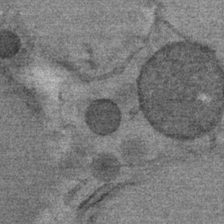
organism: Mouse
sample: Mouse Salivary gland